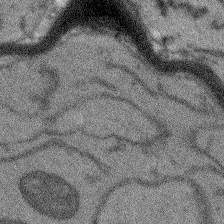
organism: Arabidopsis thaliana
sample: Root tip